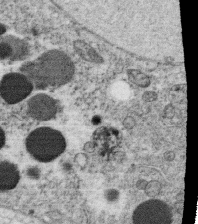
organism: C. elegans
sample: C. elegans oocyte; sperm cells